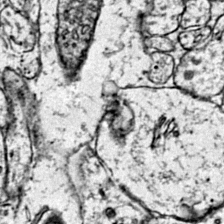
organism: Mouse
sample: Primary visual cortex